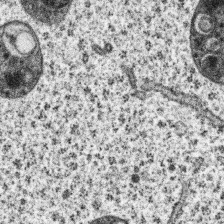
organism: Human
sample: HeLa cells